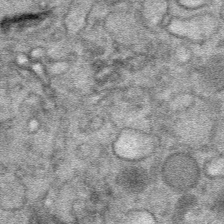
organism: Mouse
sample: Mouse Salivary gland